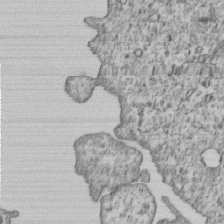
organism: Human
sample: MDA-MB-231 cells